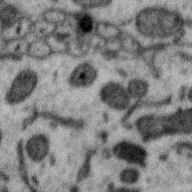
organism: Zebra finch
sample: Brain